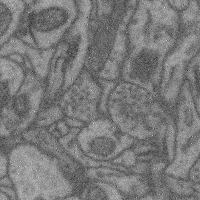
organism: Mouse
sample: Cerebral cortex